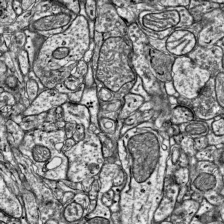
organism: Mouse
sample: Visual Cortex